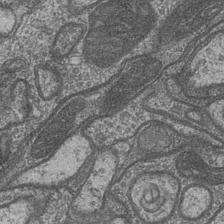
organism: Drosophila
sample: Optic medulla